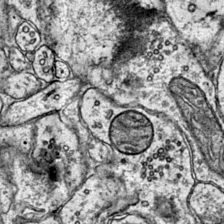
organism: Mouse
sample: Primary visual cortex